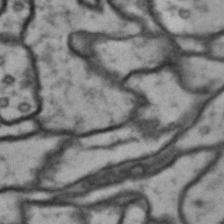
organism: Drosophila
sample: Brain